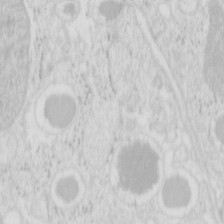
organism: Mouse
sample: Pancreas